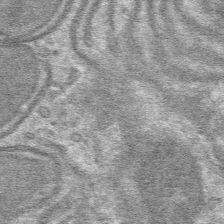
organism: Mouse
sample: Mouse hepatocytes